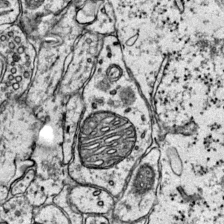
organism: Mouse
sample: Primary visual cortex